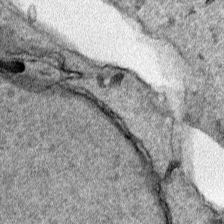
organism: Human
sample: Mitochondria in HCT116 cells